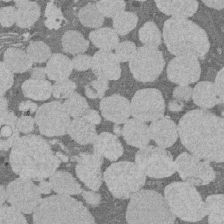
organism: Rat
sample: Salivary granule